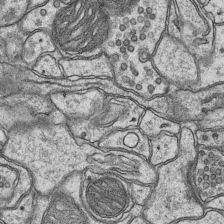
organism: Mouse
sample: CA1 Hippocampus